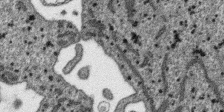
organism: Human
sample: Lung epithelial cells infected with SARS-CoV-2